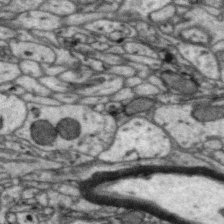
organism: Zebra finch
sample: Brain